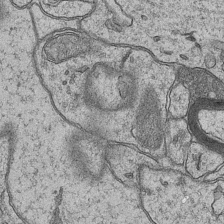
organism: Mouse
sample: CA1 Hippocampus